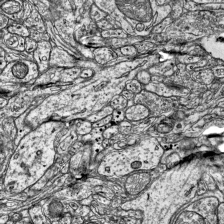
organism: Mouse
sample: Visual Cortex